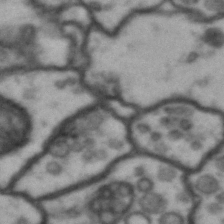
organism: Drosophila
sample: Brain